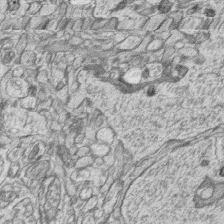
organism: Zebrafish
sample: synaptic ribbons in rod cells and cone cells